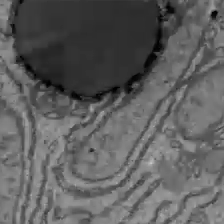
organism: C57BL Mouse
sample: Liver